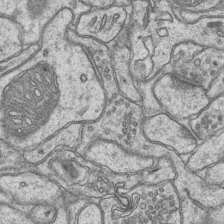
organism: Mouse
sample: CA1 Hippocampus